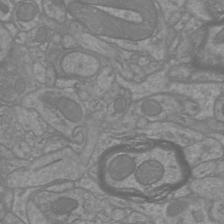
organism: Mouse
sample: Cortical neurons